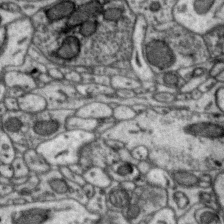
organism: Zebra finch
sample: Brain